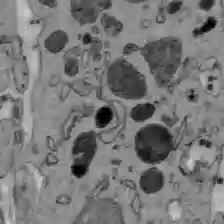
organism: C57BL Mouse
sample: Liver